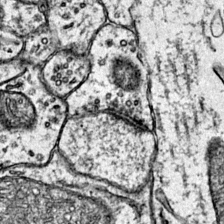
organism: Mouse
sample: Primary visual cortex